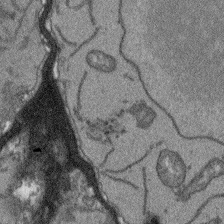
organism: Arabidopsis thaliana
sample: Root tip